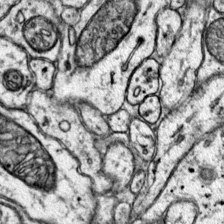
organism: Mouse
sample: Primary visual cortex